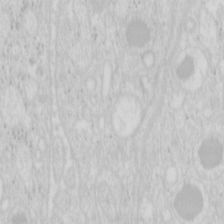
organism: Mouse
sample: Pancreas